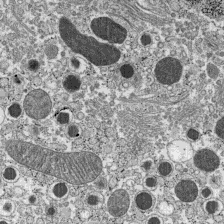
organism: C57BL Mouse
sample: Pancreatic islet